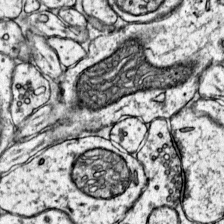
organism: Mouse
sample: Primary visual cortex